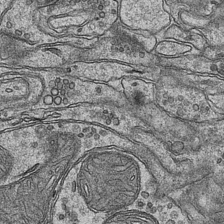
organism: Mouse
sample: CA1 Hippocampus